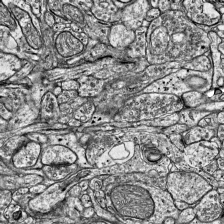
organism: Mouse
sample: Visual Cortex